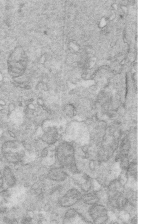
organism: Mouse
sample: Multiciliated cells